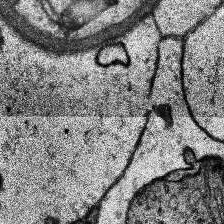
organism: Human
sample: Temporal Lobe